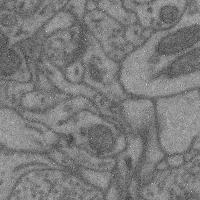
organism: Mouse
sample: Cerebral cortex